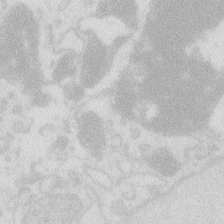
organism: Zebrafish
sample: Macrophage